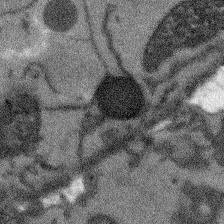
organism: Arabidopsis thaliana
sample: Root tip